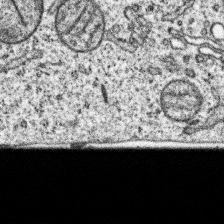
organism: Human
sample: HeLa cells